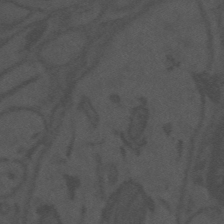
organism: Mouse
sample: Suprachiasmatic nucleus